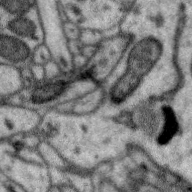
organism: Zebra finch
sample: Brain